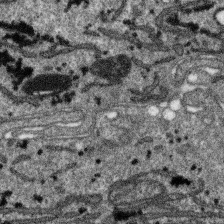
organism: Human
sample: Lung epithelial cells infected with SARS-CoV-2